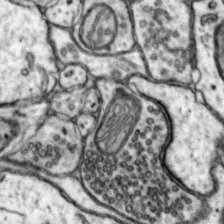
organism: Mouse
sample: Nucleus accumbens